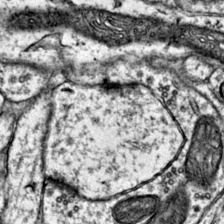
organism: Mouse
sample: Primary visual cortex